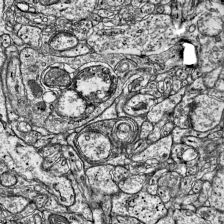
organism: Mouse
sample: Visual Cortex